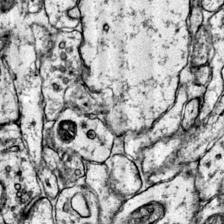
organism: Mouse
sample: Primary visual cortex